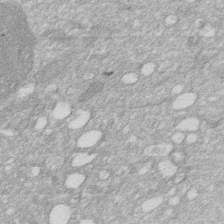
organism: Human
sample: HIV infected U937 cells